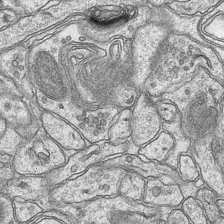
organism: Mouse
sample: CA1 Hippocampus